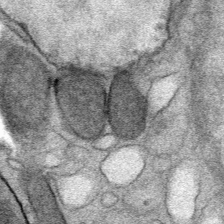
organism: Mouse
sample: Mouse Salivary gland